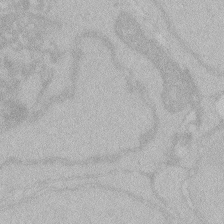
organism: Zebrafish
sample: Macrophage infected with Toxoplasma gondii